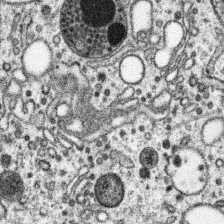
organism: Human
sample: HeLa cells